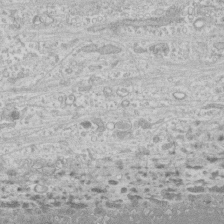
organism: Human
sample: CRL-1474